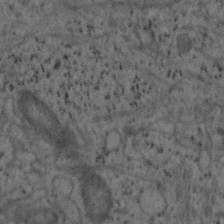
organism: Human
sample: HeLa cells